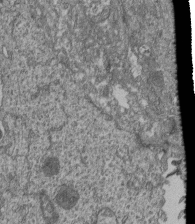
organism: Human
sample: Retinal organoid Rod and Cone cells